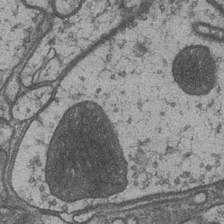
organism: Drosophila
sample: Optic medulla